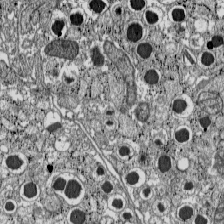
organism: C57BL Mouse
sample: Pancreatic islet